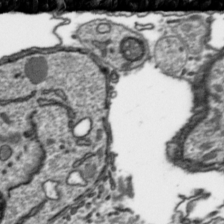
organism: Toxoplasma gondii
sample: Parasites in a vacuole inside a host cell